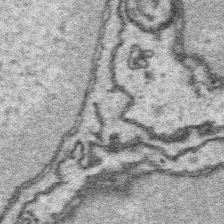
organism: Platynereis dumerilii